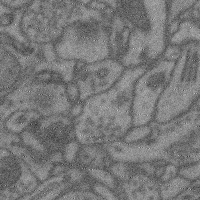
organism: Mouse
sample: Cerebral cortex